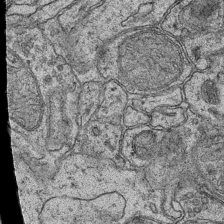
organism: Mouse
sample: CA1 Hippocampus